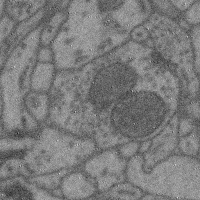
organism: Mouse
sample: Cerebral cortex